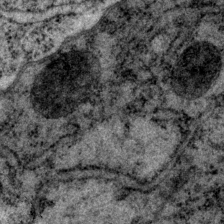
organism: P. pacificus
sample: Pharynx